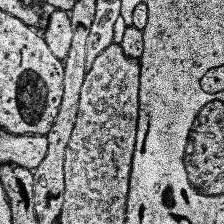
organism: Human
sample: Temporal Lobe